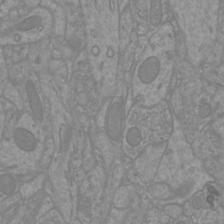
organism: Mouse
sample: Cortical neurons